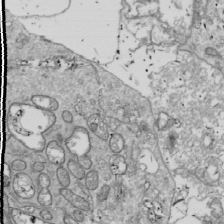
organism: Drosophila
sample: Cell division; meiosis; drosophila spermatocytes